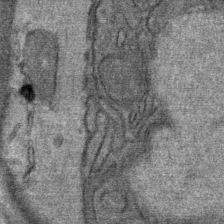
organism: Mouse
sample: Mouse Salivary gland